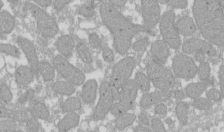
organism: Xenopus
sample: Cilia; centrioles in frog embryo cells